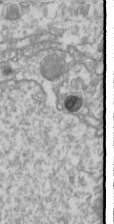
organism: Drosophila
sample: Cell division; meiosis; drosophila spermatocytes